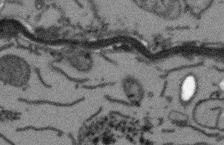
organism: Arabidopsis thaliana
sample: Root tip